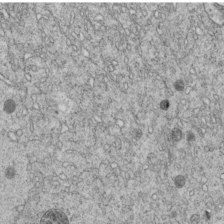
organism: C. elegans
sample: C. elegans embryo early stage